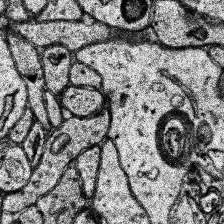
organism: Human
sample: Temporal Lobe